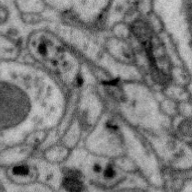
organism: Zebra finch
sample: Brain